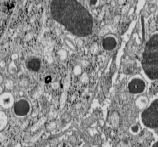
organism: C57BL Mouse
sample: Pancreatic islet